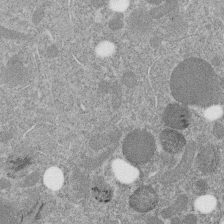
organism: C. elegans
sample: C. elegans embryo early stage